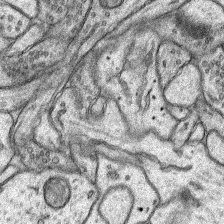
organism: Rat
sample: Hippocampus